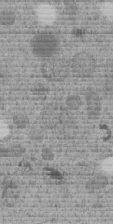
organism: C. elegans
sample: C. elegans embryo early stage